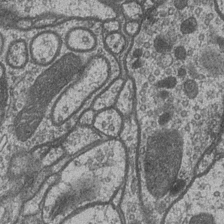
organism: Drosophila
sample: Optic medulla